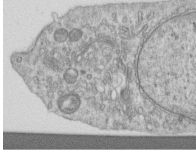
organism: Human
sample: Centriole in RPE cells